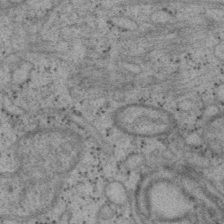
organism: Human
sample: HeLa cells